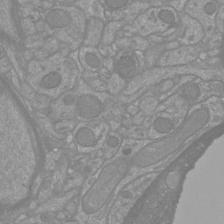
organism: Mouse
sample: Cortical neurons